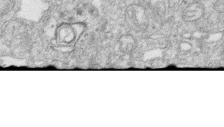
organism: Human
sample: HeLa cell HIV synapse